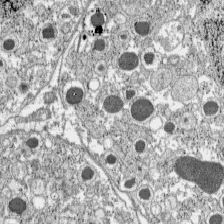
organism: C57BL Mouse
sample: Pancreatic islet